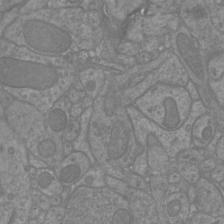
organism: Mouse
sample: Cortical neurons